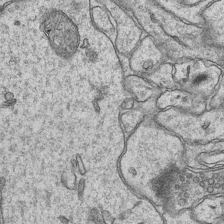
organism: Mouse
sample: CA1 Hippocampus